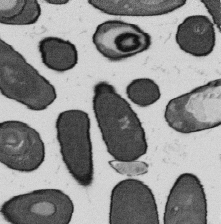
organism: B. subtilis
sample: Bacterial spore